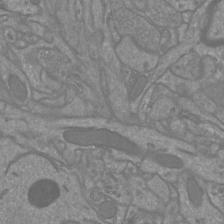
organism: Mouse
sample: Cortical neurons